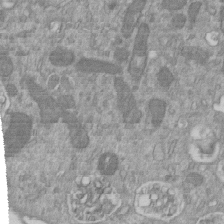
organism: Mouse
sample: ED-1 cell nuclei; centrioles